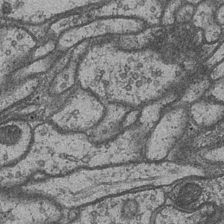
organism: Drosophila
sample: Optic medulla